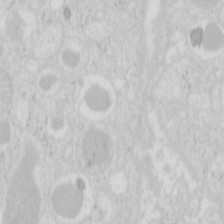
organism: Mouse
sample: Pancreas